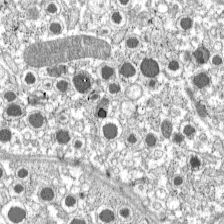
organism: C57BL Mouse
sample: Pancreatic islet